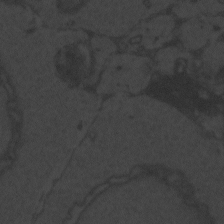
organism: Zebrafish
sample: Macrophage infected with Toxoplasma gondii